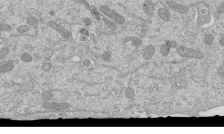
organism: Mouse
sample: ED-1 cell nuclei; centrioles